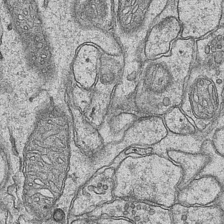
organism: Mouse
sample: CA1 Hippocampus